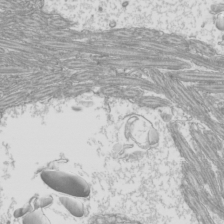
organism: Mouse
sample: Cilia; mouse epididymis